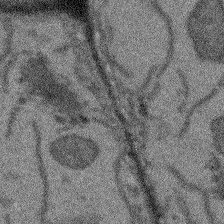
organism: Arabidopsis thaliana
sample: Root tip